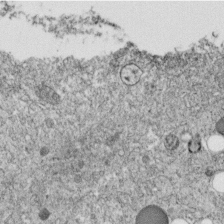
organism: C. elegans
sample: C. elegans embryo early stage